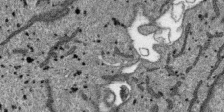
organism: Human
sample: Lung epithelial cells, uninfected (mock) control